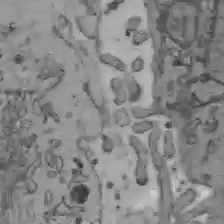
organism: C57BL Mouse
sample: Liver